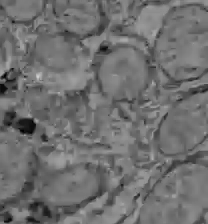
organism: C57BL Mouse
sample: Liver